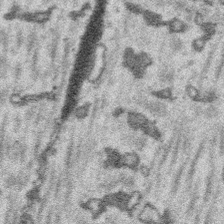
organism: Platynereis dumerilii